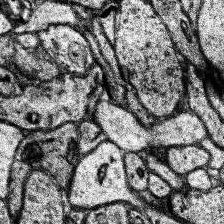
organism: Human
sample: Temporal Lobe